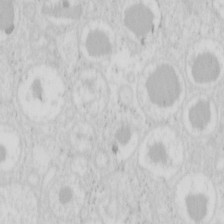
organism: Mouse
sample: Pancreas